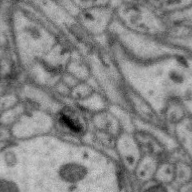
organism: Zebra finch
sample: Brain